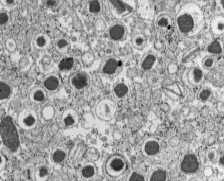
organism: C57BL Mouse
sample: Pancreatic islet